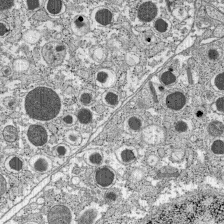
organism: C57BL Mouse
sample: Pancreatic islet